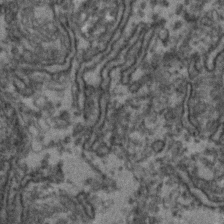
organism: Zebrafish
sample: Zebrafish embryo